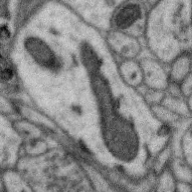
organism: Zebra finch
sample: Brain